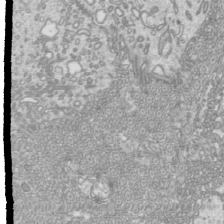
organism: Mouse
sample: Cilia; mouse epididymis